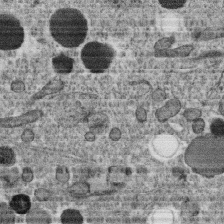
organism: C. elegans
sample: C. elegans oocyte; sperm cells